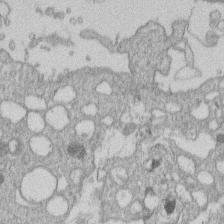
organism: Human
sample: Macrophage cells